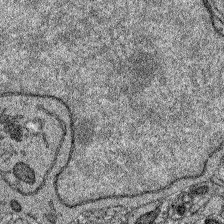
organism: Zebrafish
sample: Larval olfactory bulb